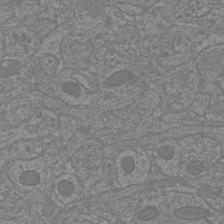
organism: Mouse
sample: Cortical neurons